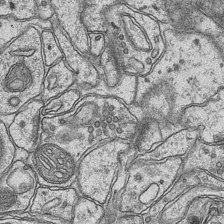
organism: Mouse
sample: CA1 Hippocampus